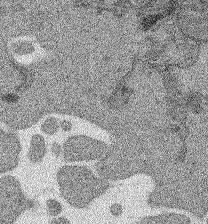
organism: Human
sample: HeLa cells